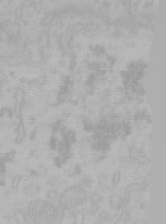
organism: Mouse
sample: Choroid plexus